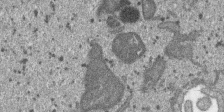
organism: Human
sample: Lung epithelial cells infected with SARS-CoV-2